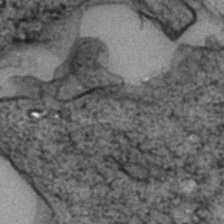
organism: Zebrafish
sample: Zebrafish embryo